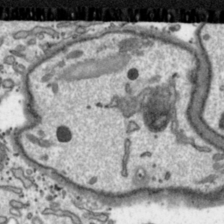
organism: Toxoplasma gondii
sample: Parasites in a vacuole inside a host cell